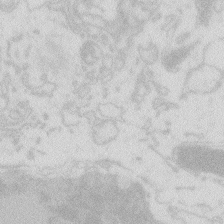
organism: Zebrafish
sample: Macrophage